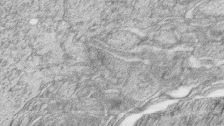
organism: Zebrafish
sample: synaptic ribbons in rod cells and cone cells